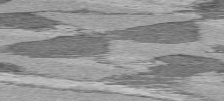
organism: C57BL Mouse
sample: Heart